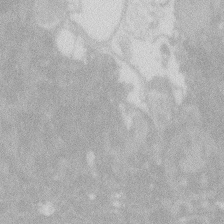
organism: Zebrafish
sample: Macrophage